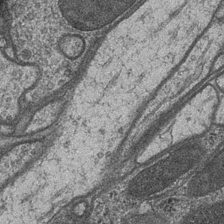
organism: Drosophila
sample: Optic medulla